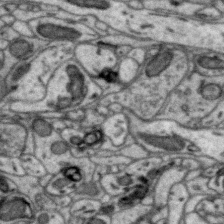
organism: Zebra finch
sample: Brain